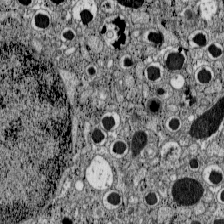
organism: C57BL Mouse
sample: Pancreatic islet